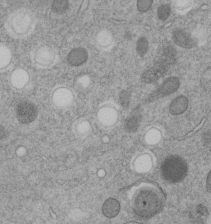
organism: C. elegans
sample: C. elegans embryo early stage